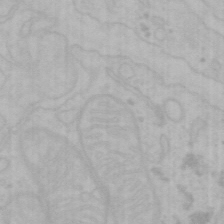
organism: Mouse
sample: Choroid plexus